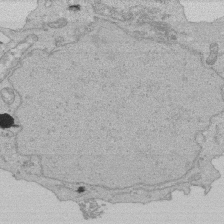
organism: Human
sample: Activated Jurkat CD4+ T cells